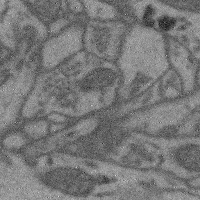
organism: Mouse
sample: Cerebral cortex